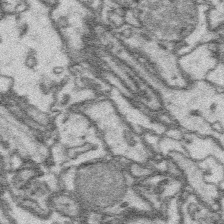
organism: Platynereis dumerilii